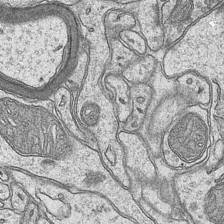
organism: Mouse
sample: CA1 Hippocampus